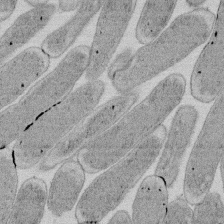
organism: E. coli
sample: Bacterial nucleoid